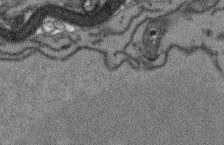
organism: Arabidopsis thaliana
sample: Root tip